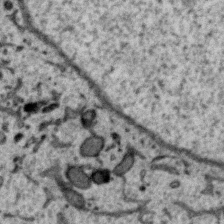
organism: Zebra finch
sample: Brain